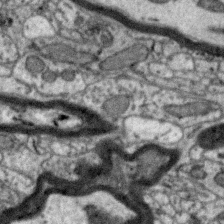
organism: Zebra finch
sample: Brain